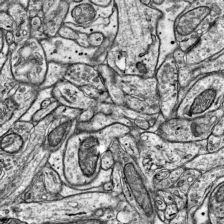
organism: Mouse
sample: Visual Cortex